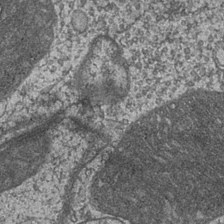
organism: Drosophila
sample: Optic medulla